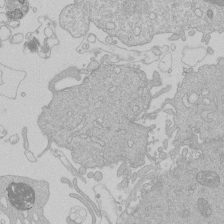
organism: Human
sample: Macrophage cells